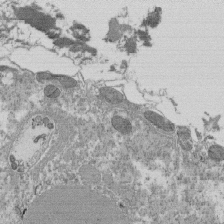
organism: Tetrahymena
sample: Cilia in tetrahymena